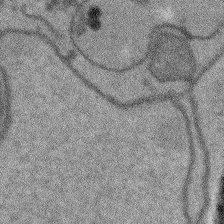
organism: Arabidopsis thaliana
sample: Root tip